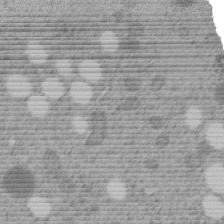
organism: C. elegans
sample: C. elegans embryo early stage